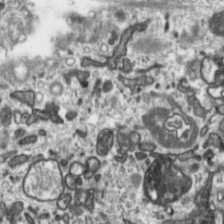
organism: Toxoplasma gondii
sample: Parasites in a vacuole inside a host cell